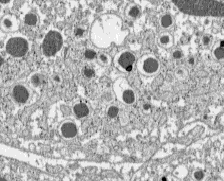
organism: C57BL Mouse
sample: Pancreatic islet